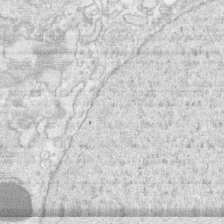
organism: Human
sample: CRL-1474